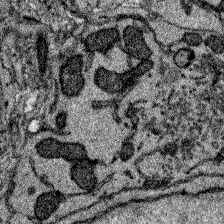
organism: Zebrafish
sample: Larval olfactory bulb